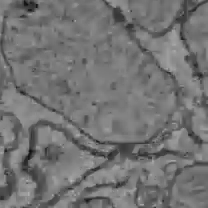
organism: C57BL Mouse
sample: Liver